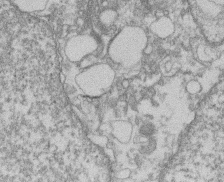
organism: Mouse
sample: T cell stromal cell synapse